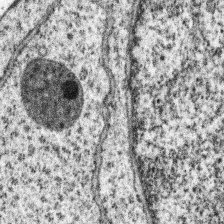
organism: Human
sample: HeLa cells